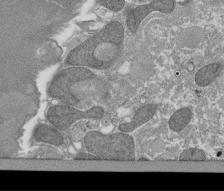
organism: Tetrahymena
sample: Cilia in tetrahymena